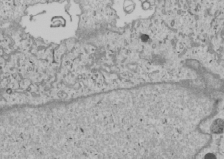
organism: Human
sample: Mitochondria in U2OS cells